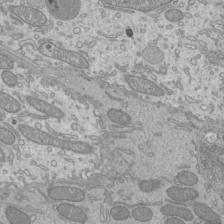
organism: Mouse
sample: Cilia; mouse epididymis